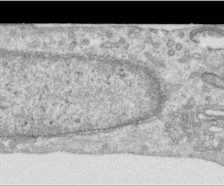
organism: Human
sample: Centriole in RPE cells